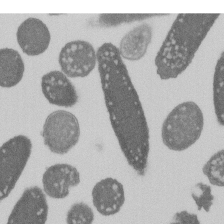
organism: E. coli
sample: Bacterial nucleoid